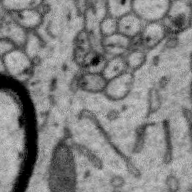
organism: Zebra finch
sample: Brain